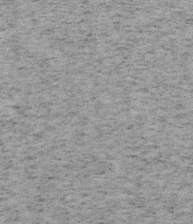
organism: Mouse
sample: OT-I killer T cells with ID8 ovarian cancer cells